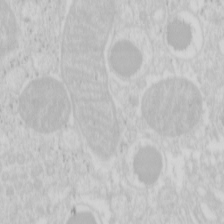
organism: Mouse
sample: Pancreas